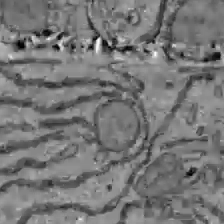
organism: C57BL Mouse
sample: Liver